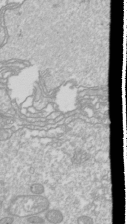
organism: Drosophila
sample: Cell division; meiosis; drosophila spermatocytes